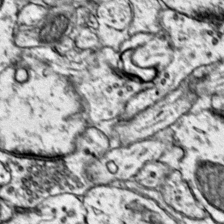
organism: Mouse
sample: Primary visual cortex